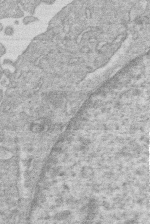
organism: Human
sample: Macrophage cells